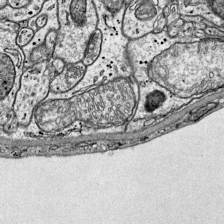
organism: Mouse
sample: Visual Cortex